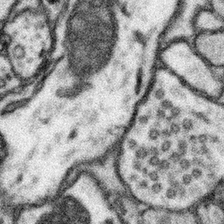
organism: Mouse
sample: Somatosensory cortex neuropil